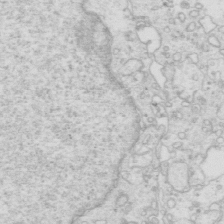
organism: Mouse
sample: Multiciliated cells